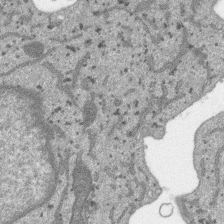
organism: Human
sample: Lung epithelial cells infected with SARS-CoV-2